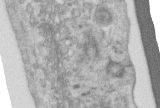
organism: Human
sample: Centriole in RPE cells